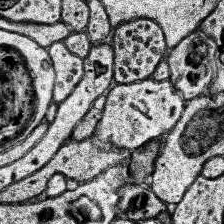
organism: Human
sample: Temporal Lobe